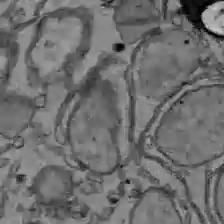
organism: C57BL Mouse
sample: Liver